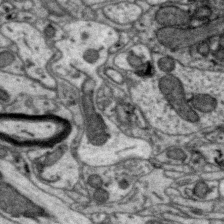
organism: Zebra finch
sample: Brain